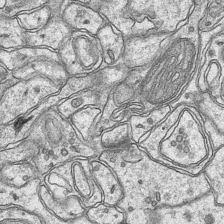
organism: Mouse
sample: CA1 Hippocampus